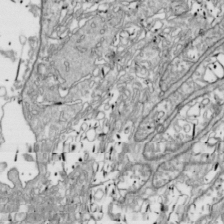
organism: Drosophila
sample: Cell division; meiosis; drosophila spermatocytes